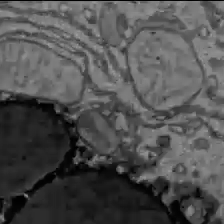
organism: C57BL Mouse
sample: Liver